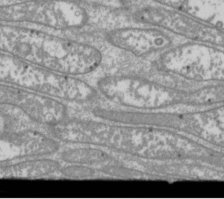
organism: Drosophila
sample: Cell division; meiosis; drosophila spermatocytes